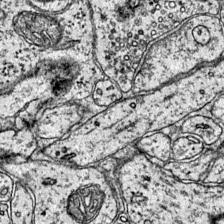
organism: Mouse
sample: Primary visual cortex